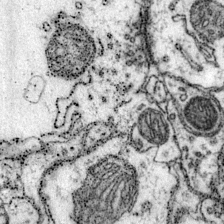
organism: Mouse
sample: Primary visual cortex